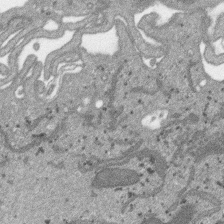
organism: Human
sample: Lung epithelial cells infected with SARS-CoV-2